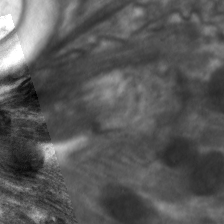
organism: C. elegans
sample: Pharynx